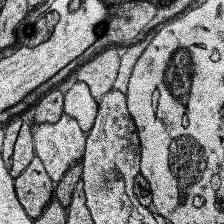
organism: Human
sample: Temporal Lobe